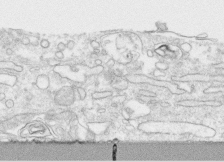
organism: Human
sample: CRL-1474